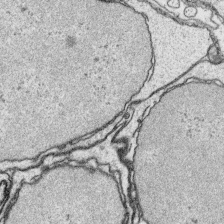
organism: Platynereis dumerilii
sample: Parapodia